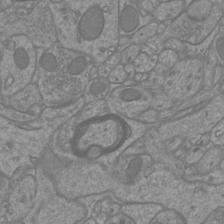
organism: Mouse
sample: Cortical neurons